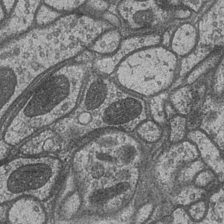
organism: Drosophila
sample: Optic medulla